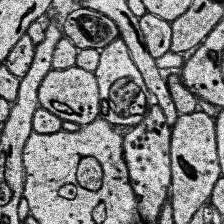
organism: Human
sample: Temporal Lobe